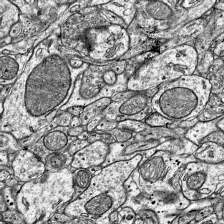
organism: Mouse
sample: Visual Cortex